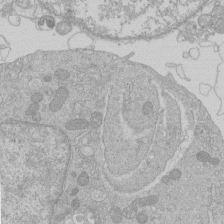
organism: Human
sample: Macrophage cells